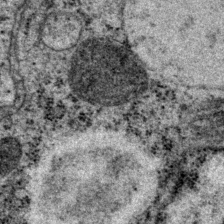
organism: P. pacificus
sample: Pharynx